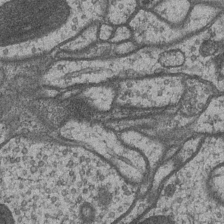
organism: Drosophila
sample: Optic medulla